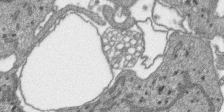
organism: Human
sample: Lung epithelial cells infected with SARS-CoV-2